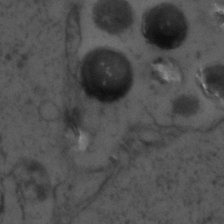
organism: Zebrafish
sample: Zebrafish embryo